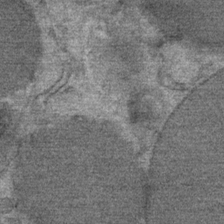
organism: Mouse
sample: Mouse Salivary gland